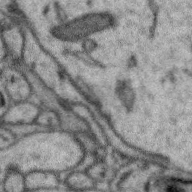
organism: Zebra finch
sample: Brain